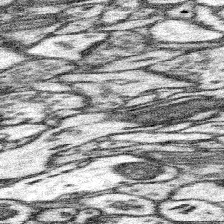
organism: Mouse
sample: Somatosensory cortex neuropil